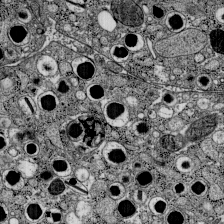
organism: C57BL Mouse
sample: Pancreatic islet